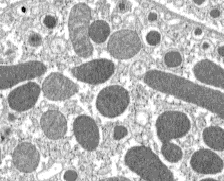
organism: C57BL Mouse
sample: Pancreatic islet